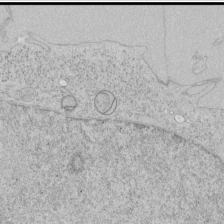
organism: Human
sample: Mitochondria in HCT116 cells